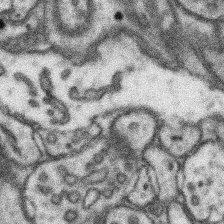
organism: Mouse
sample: Somatosensory cortex neuropil